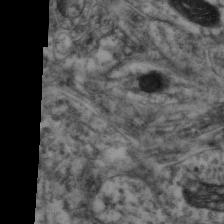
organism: Mouse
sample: Neocortex